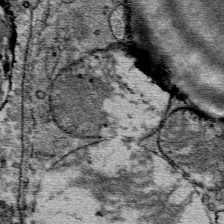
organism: Mouse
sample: Mouse Salivary gland